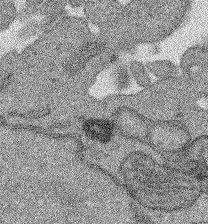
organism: Human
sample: HeLa cells